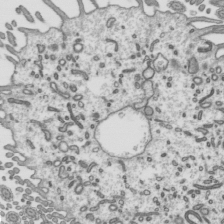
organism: Mouse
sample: Mouse epididymis efferent ductule cilia